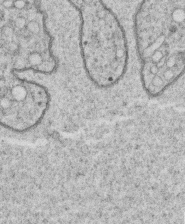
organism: C. elegans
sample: C. elegans oocyte; sperm cells